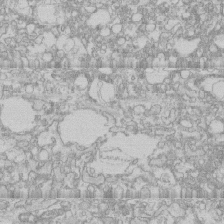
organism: Human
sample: CRL-1474